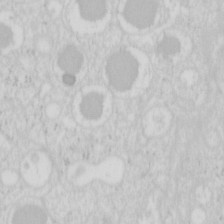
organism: Mouse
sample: Pancreas